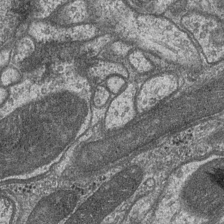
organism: Drosophila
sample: Optic medulla